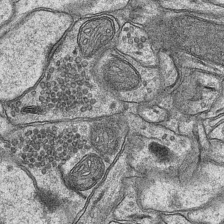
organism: Mouse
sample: CA1 Hippocampus